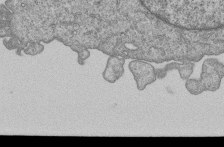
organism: Human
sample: MDA-MB-231 cells